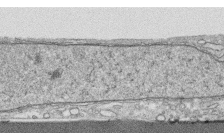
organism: Human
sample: CRL-1474